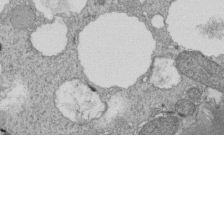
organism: Tetrahymena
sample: Cilia in tetrahymena